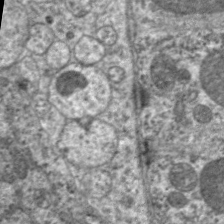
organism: C. elegans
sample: Pharynx